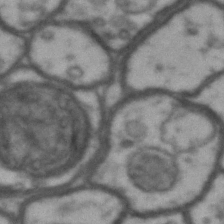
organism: Drosophila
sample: Brain